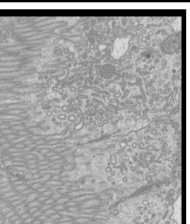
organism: Mouse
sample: Cilia; mouse epididymis